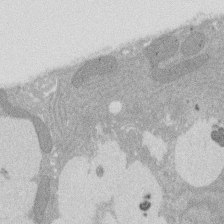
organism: Rat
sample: Salivary granule